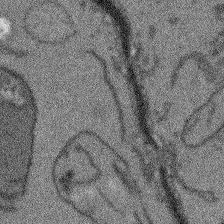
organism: Arabidopsis thaliana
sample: Root tip